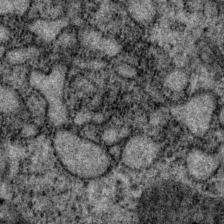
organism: P. pacificus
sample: Pharynx